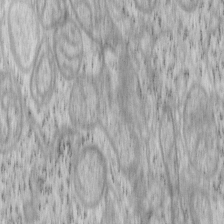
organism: Human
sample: HeLa cells